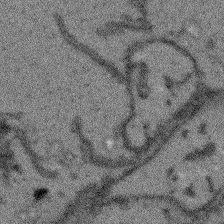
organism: Arabidopsis thaliana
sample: Root tip